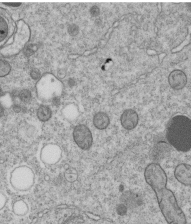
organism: C. elegans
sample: C. elegans embryo early stage